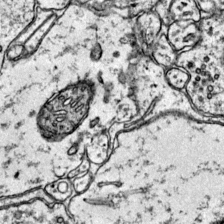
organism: Mouse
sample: Primary visual cortex